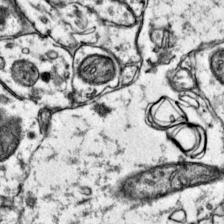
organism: Mouse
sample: Primary visual cortex